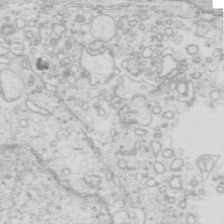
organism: Mouse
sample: Multiciliated cells